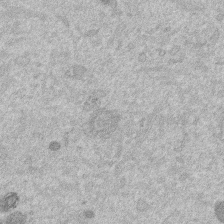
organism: Mouse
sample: Dividing mouse embryo 1 cell stage